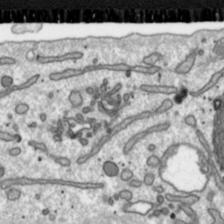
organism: Toxoplasma gondii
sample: Parasites in a vacuole inside a host cell